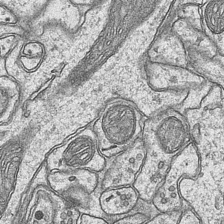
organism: Mouse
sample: CA1 Hippocampus